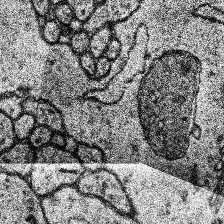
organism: Human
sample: Temporal Lobe